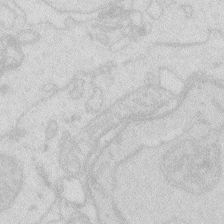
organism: Zebrafish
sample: Macrophage